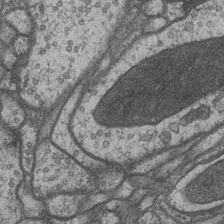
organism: Drosophila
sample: Optic medulla